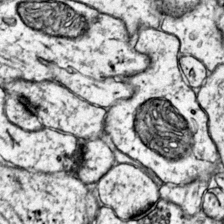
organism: Mouse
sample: Primary visual cortex